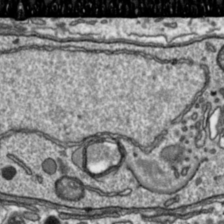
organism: Toxoplasma gondii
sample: Parasites in a vacuole inside a host cell